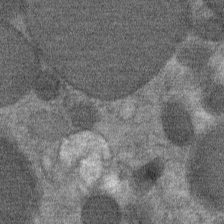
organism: Mouse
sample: Mouse Salivary gland